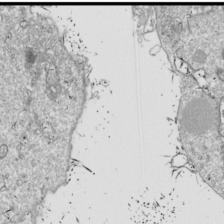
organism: Drosophila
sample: Cell division; meiosis; drosophila spermatocytes